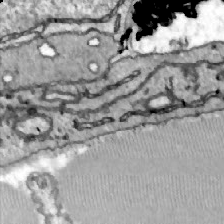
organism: Zebrafish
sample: Actinotrichia fibers